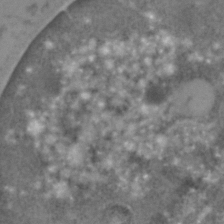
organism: C. elegans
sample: C. elegans embryo